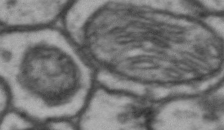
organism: Drosophila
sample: Brain